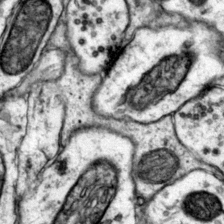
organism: Mouse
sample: Primary visual cortex